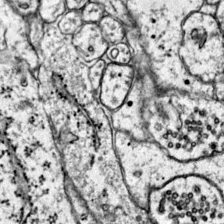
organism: Mouse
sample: Primary visual cortex